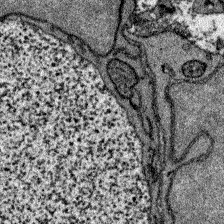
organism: Zebrafish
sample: Larval olfactory bulb